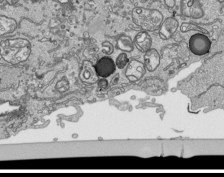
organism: Human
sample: Mitochondria in HCT116 cells